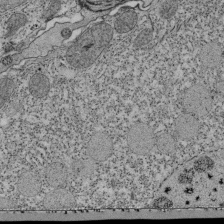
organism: Tetrahymena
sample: Cilia in tetrahymena